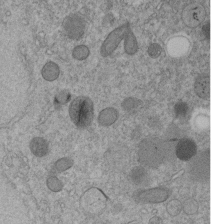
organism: C. elegans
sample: C. elegans embryo early stage